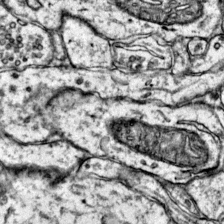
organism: Mouse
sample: Primary visual cortex